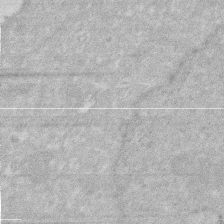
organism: Human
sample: HIV infected U937 cells